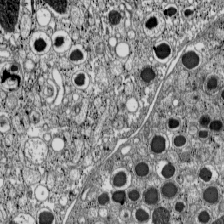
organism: C57BL Mouse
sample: Pancreatic islet